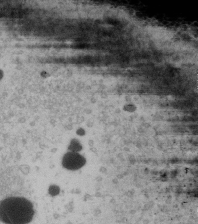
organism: Human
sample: U2-OS cells